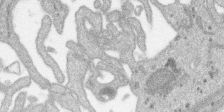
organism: Human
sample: Lung epithelial cells infected with SARS-CoV-2